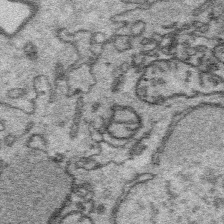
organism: Platynereis dumerilii